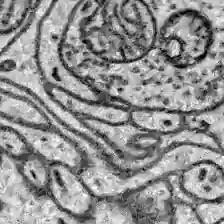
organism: Zebrafish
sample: Brain